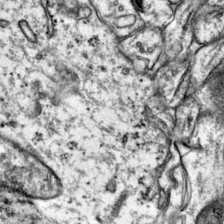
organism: Mouse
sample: Primary visual cortex